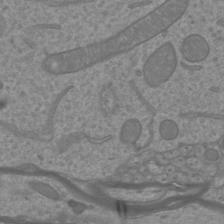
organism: Mouse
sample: Cortical neurons